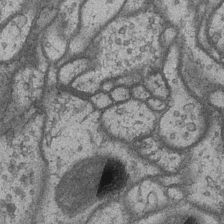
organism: Drosophila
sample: Optic medulla